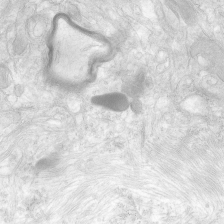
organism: Human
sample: Neocortex